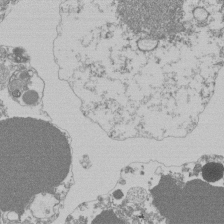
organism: Mouse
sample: Activated Pmel transgenic CD8+ T Cells